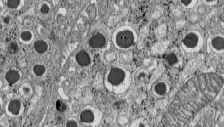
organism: C57BL Mouse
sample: Pancreatic islet